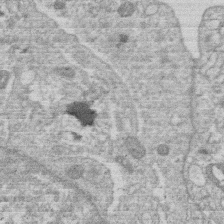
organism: Human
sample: Macrophage cells